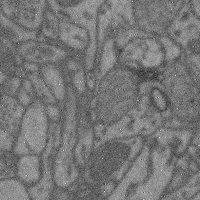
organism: Mouse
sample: Cerebral cortex